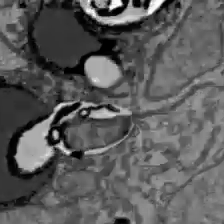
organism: C57BL Mouse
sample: Liver